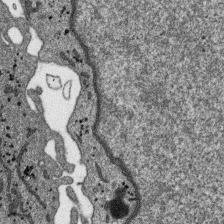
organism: Human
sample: Lung epithelial cells infected with SARS-CoV-2